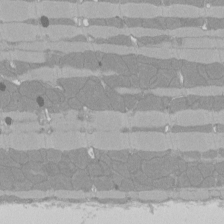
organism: Rat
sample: Left ventricle